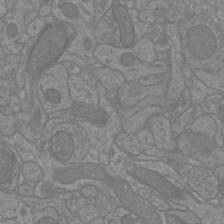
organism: Mouse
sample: Cortical neurons